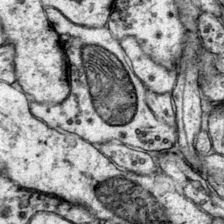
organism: Mouse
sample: Primary visual cortex